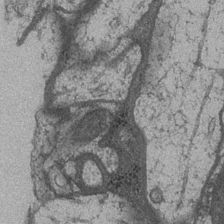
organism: Drosophila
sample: Optic medulla